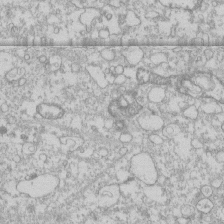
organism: Human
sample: CRL-1474